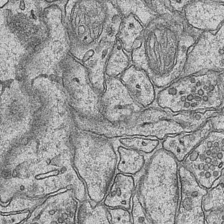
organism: Mouse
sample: CA1 Hippocampus